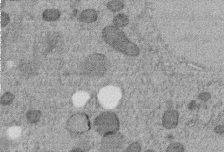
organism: C. elegans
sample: C. elegans embryo early stage